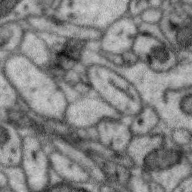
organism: Zebra finch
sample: Brain